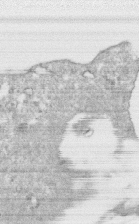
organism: Human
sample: CRL-1474